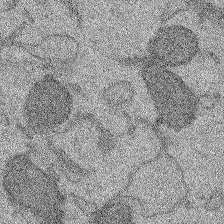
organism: Human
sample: HeLa cells